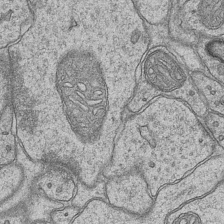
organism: Mouse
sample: CA1 Hippocampus